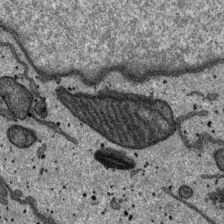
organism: Human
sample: Lung epithelial cells, uninfected (mock) control